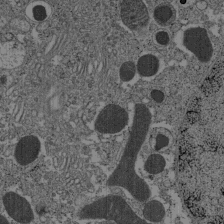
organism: C57BL Mouse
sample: Pancreatic islet